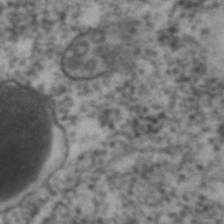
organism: C. elegans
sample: C. elegans embryo